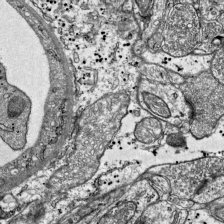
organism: Mouse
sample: Visual Cortex